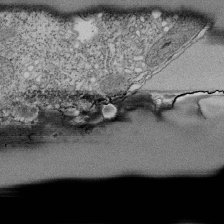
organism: Tetrahymena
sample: Cilia in tetrahymena